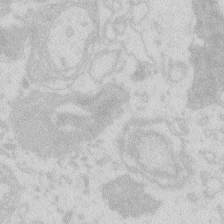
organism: Zebrafish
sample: Macrophage